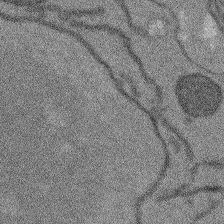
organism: Arabidopsis thaliana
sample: Root tip